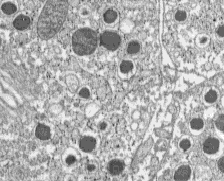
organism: C57BL Mouse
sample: Pancreatic islet